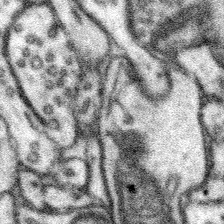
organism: Mouse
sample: Somatosensory cortex neuropil